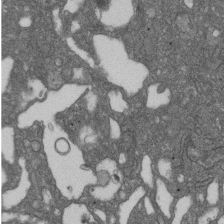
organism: Drosophila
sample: Nephrocyte